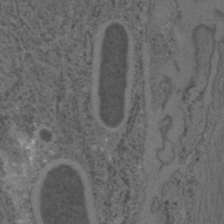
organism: C. elegans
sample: C. elegans embryo